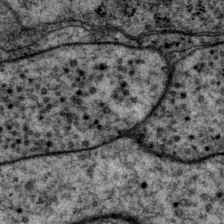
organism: P. pacificus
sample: Pharynx